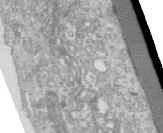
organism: Human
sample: Centriole in RPE cells